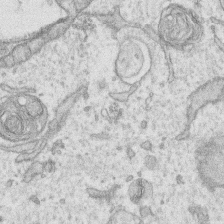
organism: Human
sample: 1205lu cells